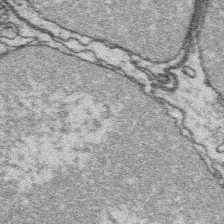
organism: Platynereis dumerilii